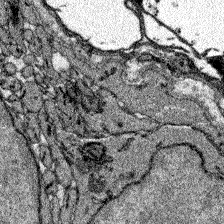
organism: Zebrafish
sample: Larval olfactory bulb